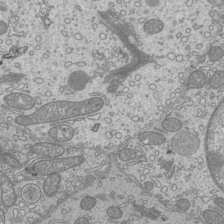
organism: Mouse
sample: Cilia; mouse epididymis